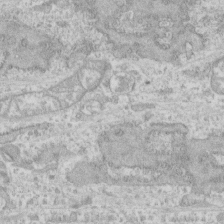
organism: Human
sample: CRL-1474